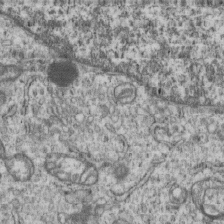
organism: Human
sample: MDA-MB-231 cells